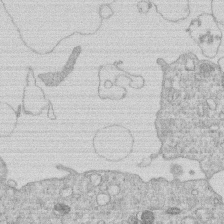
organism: Human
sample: Macrophage cells